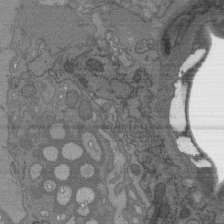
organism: C. elegans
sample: AFD neurons C. elegans